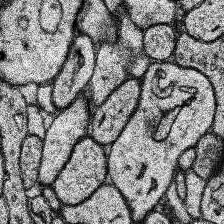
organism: Human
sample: Temporal Lobe